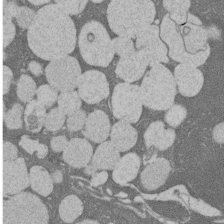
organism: Rat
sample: Salivary granule